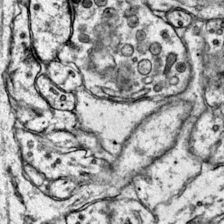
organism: Mouse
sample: Primary visual cortex